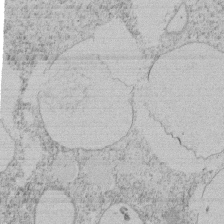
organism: Tetrahymena